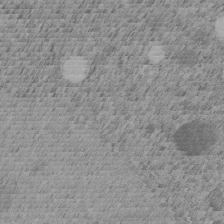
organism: C. elegans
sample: C. elegans embryo early stage